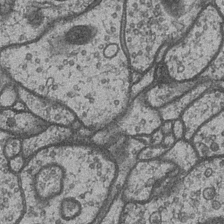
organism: Drosophila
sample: Optic medulla